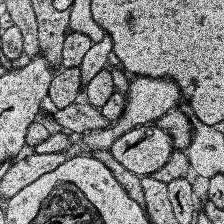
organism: Human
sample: Temporal Lobe